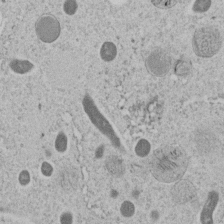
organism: C. elegans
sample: C. elegans embryo early stage